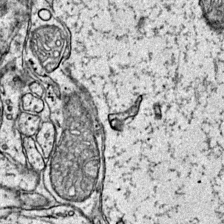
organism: Mouse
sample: Primary visual cortex